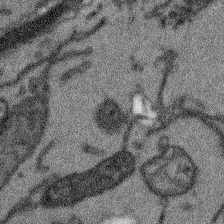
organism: Arabidopsis thaliana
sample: Root tip